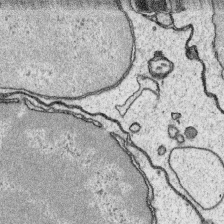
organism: Platynereis dumerilii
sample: Parapodia